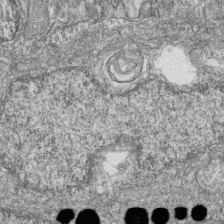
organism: Zebrafish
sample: Cilia; retinal pigment epithelium